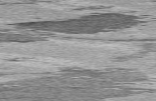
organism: C57BL Mouse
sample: Heart